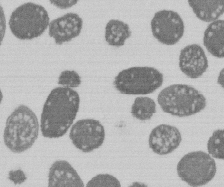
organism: E. coli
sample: Bacterial nucleoid